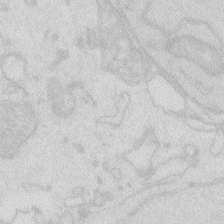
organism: Zebrafish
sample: Macrophage